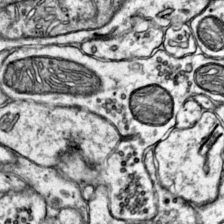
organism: Mouse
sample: Primary visual cortex